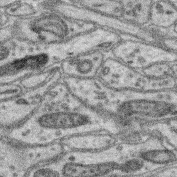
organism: Mouse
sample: Retina